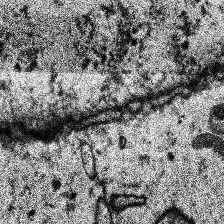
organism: Human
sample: Temporal Lobe